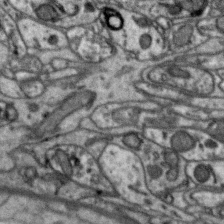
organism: Zebra finch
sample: Brain